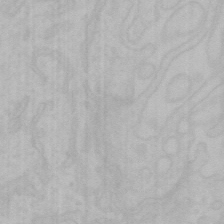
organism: Mouse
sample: Choroid plexus